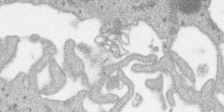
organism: Human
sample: Lung epithelial cells infected with SARS-CoV-2